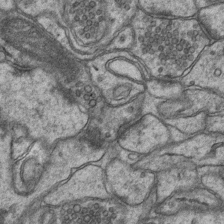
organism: Mouse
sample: CA1 Hippocampus